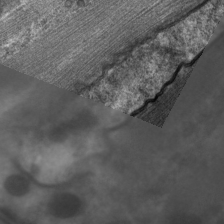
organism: C. elegans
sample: Pharynx